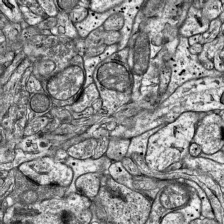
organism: Mouse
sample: Visual Cortex